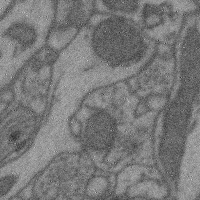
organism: Mouse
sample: Cerebral cortex